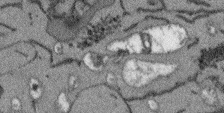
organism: Arabidopsis thaliana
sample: Root tip